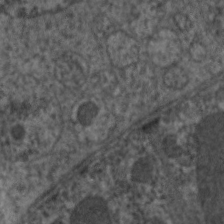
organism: C. elegans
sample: Pharynx